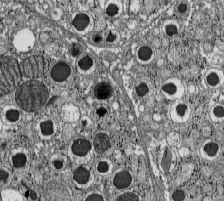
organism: C57BL Mouse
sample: Pancreatic islet